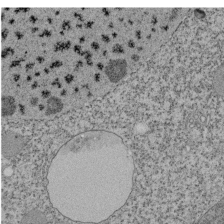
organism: Tetrahymena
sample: Cilia in tetrahymena